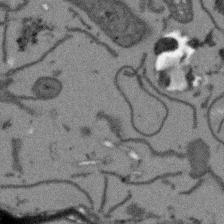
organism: Arabidopsis thaliana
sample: Root tip